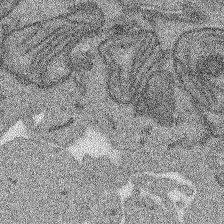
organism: Human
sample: HeLa cells